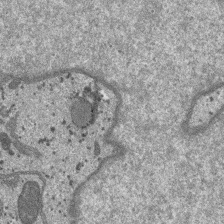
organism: Human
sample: Lung epithelial cells infected with SARS-CoV-2